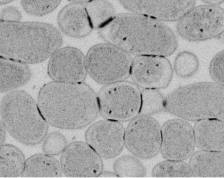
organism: E. coli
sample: Bacterial nucleoid